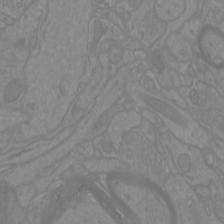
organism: Mouse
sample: Cortical neurons